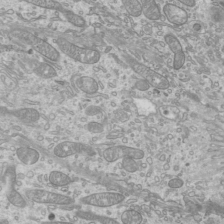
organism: Mouse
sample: Cilia; mouse epididymis